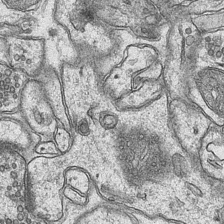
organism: Mouse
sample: CA1 Hippocampus